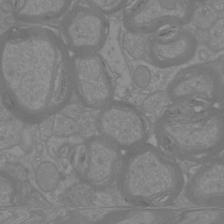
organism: Mouse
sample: Cortical neurons